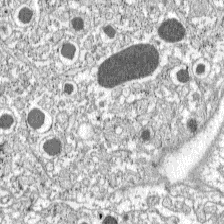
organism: C57BL Mouse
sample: Pancreatic islet